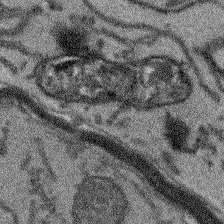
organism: Arabidopsis thaliana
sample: Root tip